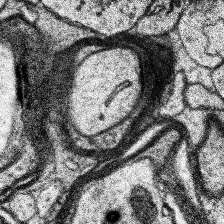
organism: Human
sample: Temporal Lobe